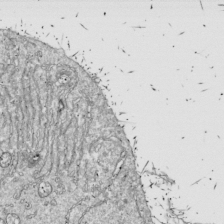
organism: Drosophila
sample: Cell division; meiosis; drosophila spermatocytes